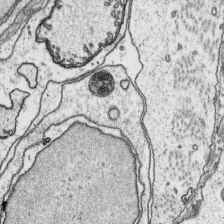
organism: Platynereis dumerilii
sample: Parapodia